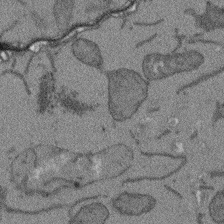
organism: Arabidopsis thaliana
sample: Root tip